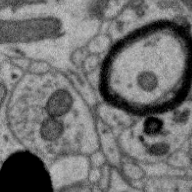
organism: Zebra finch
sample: Brain